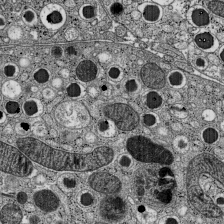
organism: C57BL Mouse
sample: Pancreatic islet